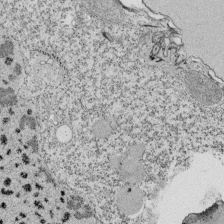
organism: Tetrahymena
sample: Cilia in tetrahymena